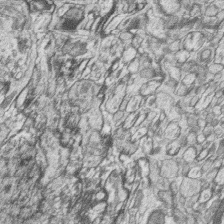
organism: Zebrafish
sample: synaptic ribbons in rod cells and cone cells